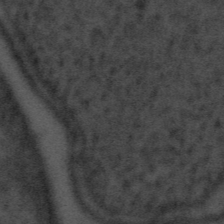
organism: Tuwongella immobilis